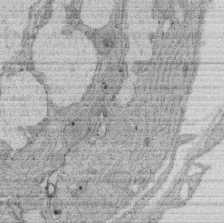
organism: Rat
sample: Salivary granule